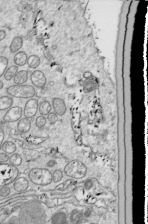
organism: Drosophila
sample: Cell division; meiosis; drosophila spermatocytes